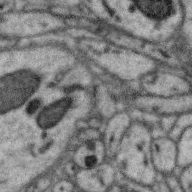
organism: Zebra finch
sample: Brain